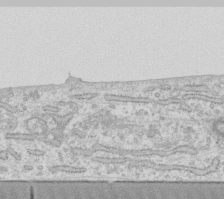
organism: Human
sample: Fibroblast cells